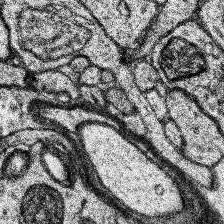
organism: Human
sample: Temporal Lobe